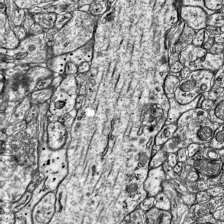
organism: Mouse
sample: Visual Cortex